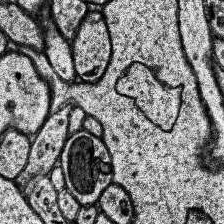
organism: Human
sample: Temporal Lobe